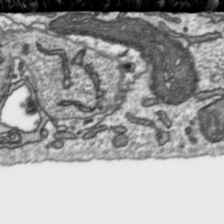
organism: Toxoplasma gondii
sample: Parasites in a vacuole inside a host cell